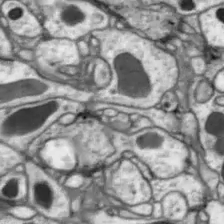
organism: Drosophila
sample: Optic lobe